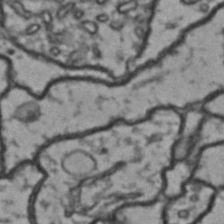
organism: Drosophila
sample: Brain